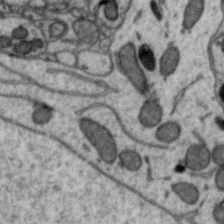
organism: Zebra finch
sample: Brain